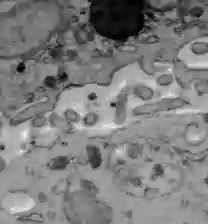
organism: C57BL Mouse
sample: Liver